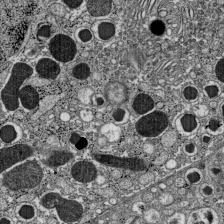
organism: C57BL Mouse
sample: Pancreatic islet